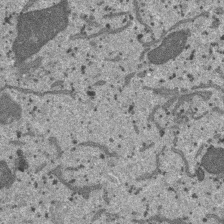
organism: Human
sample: Lung epithelial cells infected with SARS-CoV-2